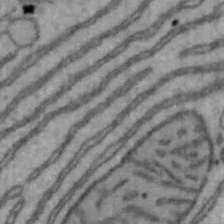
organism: Mouse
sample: Liver